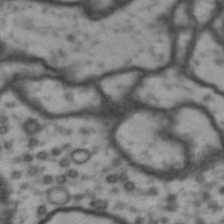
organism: Drosophila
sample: Brain